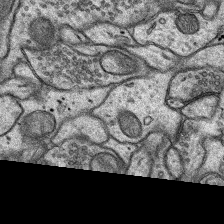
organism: Rat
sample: Hippocampus